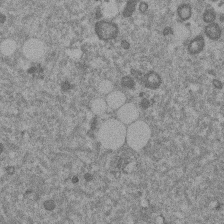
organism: Mouse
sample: Dividing mouse embryo 1 cell stage